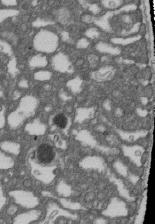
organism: Drosophila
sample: Nephrocyte